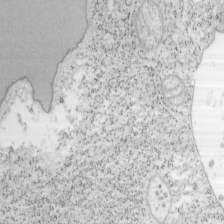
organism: Mouse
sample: OT-I killer T cells with ID8 ovarian cancer cells